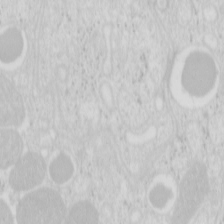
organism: Mouse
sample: Pancreas